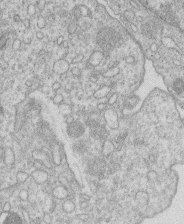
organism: Human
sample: Macrophage cells